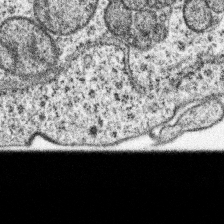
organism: Human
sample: HeLa cells